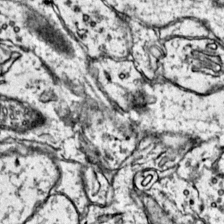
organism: Mouse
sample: Primary visual cortex